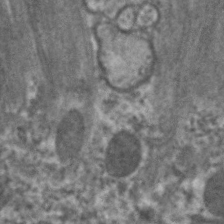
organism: C. elegans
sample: Pharynx